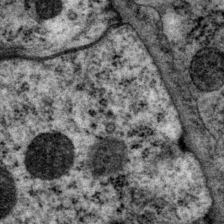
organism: P. pacificus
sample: Pharynx